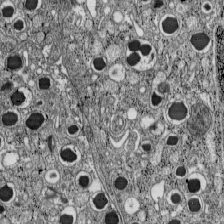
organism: C57BL Mouse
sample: Pancreatic islet